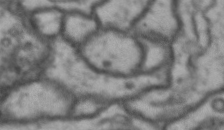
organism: Drosophila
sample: Brain